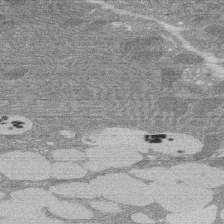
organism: Rat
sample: Salivary granule